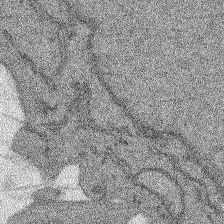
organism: Human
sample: HeLa cells